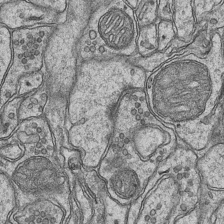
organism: Mouse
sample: CA1 Hippocampus